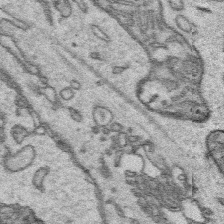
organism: Platynereis dumerilii